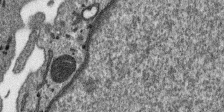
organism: Human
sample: Lung epithelial cells infected with SARS-CoV-2